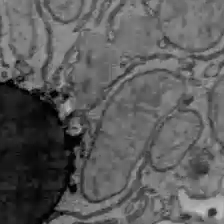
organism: C57BL Mouse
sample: Liver